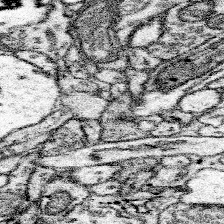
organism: Mouse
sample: Somatosensory cortex neuropil